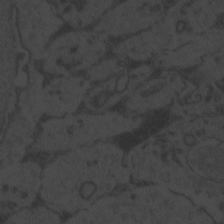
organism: Zebrafish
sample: Macrophage infected with Toxoplasma gondii